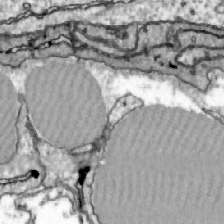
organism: Zebrafish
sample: Actinotrichia fibers